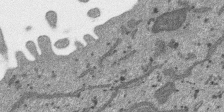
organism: Human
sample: Lung epithelial cells infected with SARS-CoV-2